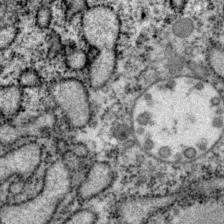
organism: P. pacificus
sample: Pharynx